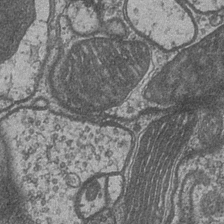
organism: Drosophila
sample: Optic medulla